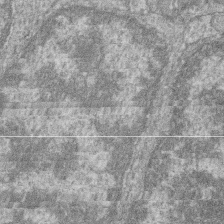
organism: Zebrafish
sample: Cilia; retinal pigment epithelium